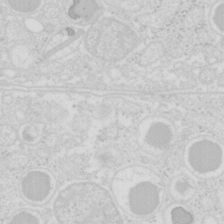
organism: Mouse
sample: Pancreas